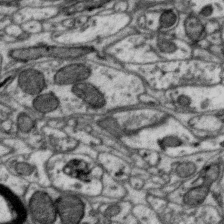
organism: Zebra finch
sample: Brain